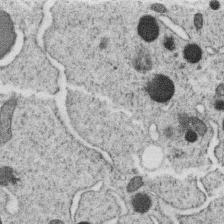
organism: C. elegans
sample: C. elegans oocyte; sperm cells